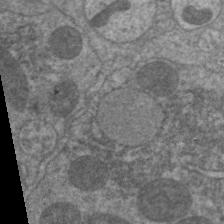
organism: C. elegans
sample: Pharynx